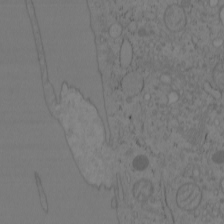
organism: Human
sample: HeLa cells